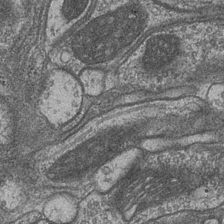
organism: Drosophila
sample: Optic medulla